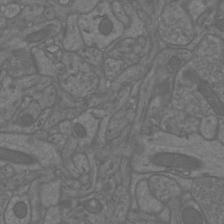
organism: Mouse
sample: Cortical neurons